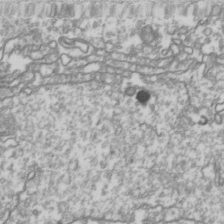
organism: Drosophila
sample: Cell division; meiosis; drosophila spermatocytes